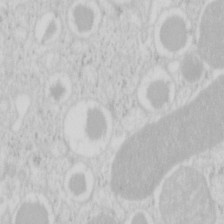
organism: Mouse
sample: Pancreas